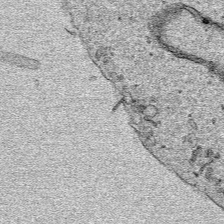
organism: Human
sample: Mitochondria in HCT116 cells